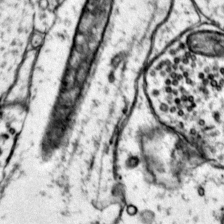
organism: Mouse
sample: Primary visual cortex